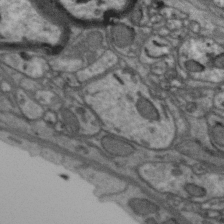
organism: Zebra finch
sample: Brain